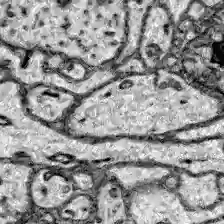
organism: Zebrafish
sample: Brain